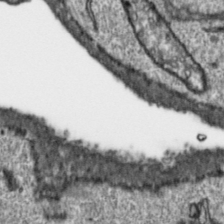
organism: Toxoplasma gondii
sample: Parasites in a vacuole inside a host cell